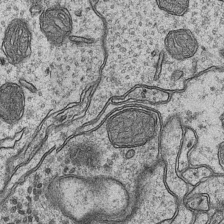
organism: Mouse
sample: CA1 Hippocampus